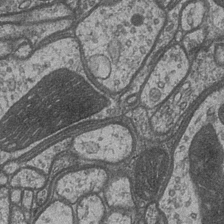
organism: Drosophila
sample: Optic medulla